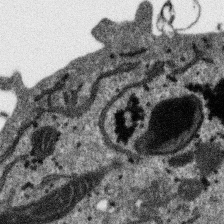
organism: Human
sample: Lung epithelial cells infected with SARS-CoV-2